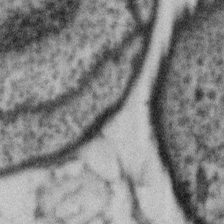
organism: Gemmata obscuriglobus